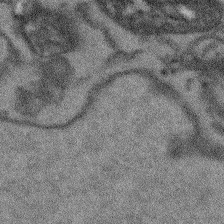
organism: Arabidopsis thaliana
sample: Root tip